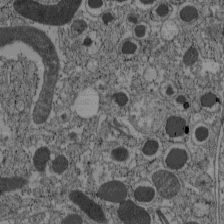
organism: C57BL Mouse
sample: Pancreatic islet